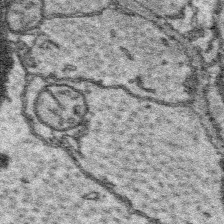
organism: Platynereis dumerilii